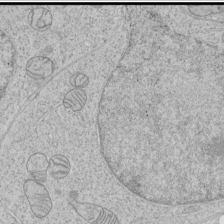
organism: Human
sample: Mitochondria in HCT116 cells